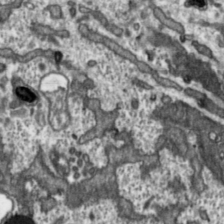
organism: Toxoplasma gondii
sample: Parasites in a vacuole inside a host cell